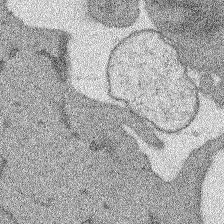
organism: Human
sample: HeLa cells